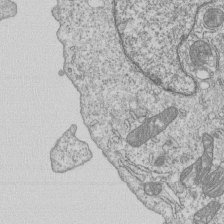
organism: Human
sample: MDA-MB-231 cells